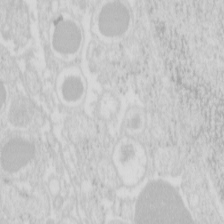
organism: Mouse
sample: Pancreas